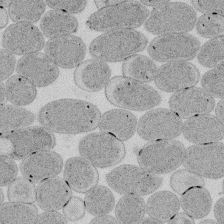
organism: E. coli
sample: Bacterial nucleoid